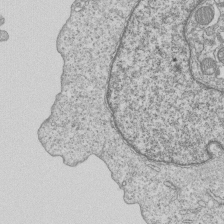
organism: Human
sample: MDA-MB-231 cells